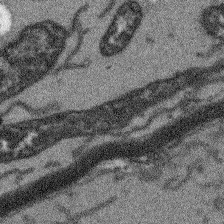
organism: Arabidopsis thaliana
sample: Root tip